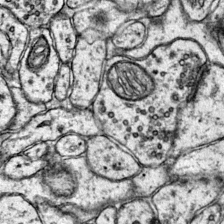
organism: Mouse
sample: Primary visual cortex